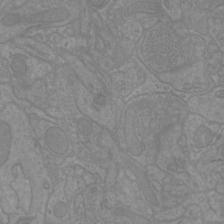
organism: Mouse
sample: Cortical neurons